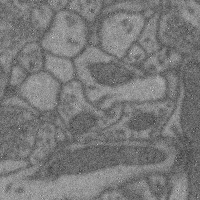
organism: Mouse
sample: Cerebral cortex